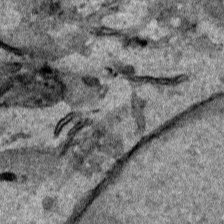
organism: Human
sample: Mitochondria in HCT116 cells